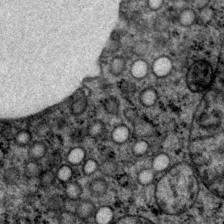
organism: P. pacificus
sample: Pharynx